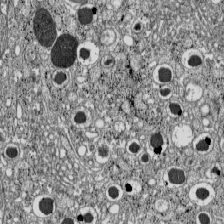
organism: C57BL Mouse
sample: Pancreatic islet